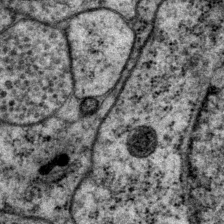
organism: P. pacificus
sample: Pharynx